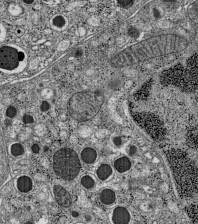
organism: C57BL Mouse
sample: Pancreatic islet